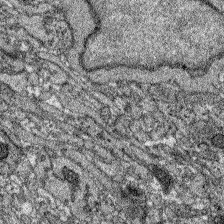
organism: Zebrafish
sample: Larval olfactory bulb